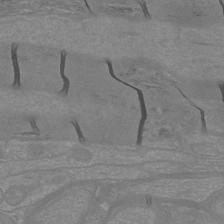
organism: Mouse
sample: Cortical neurons